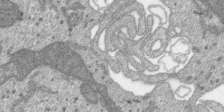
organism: Human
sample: Lung epithelial cells infected with SARS-CoV-2